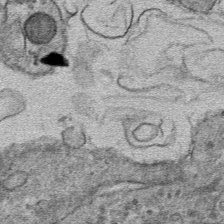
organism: Mouse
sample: Mouse hepatocytes